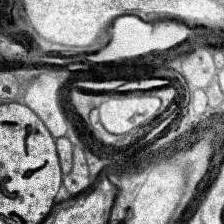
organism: Human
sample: Temporal Lobe